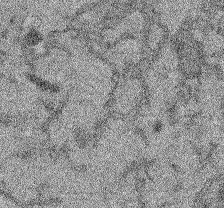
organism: Human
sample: HeLa cells